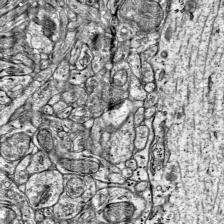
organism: Mouse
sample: Visual Cortex